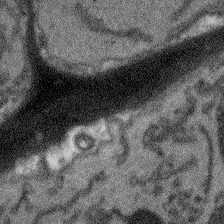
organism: Arabidopsis thaliana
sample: Root tip